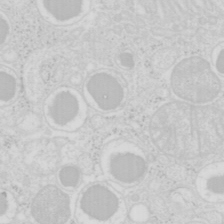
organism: Mouse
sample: Pancreas